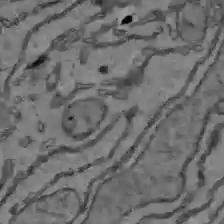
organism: C57BL Mouse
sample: Liver